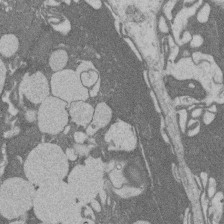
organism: Rat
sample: Salivary granule